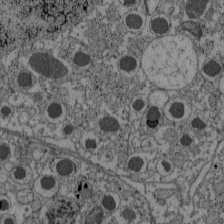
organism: C57BL Mouse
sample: Pancreatic islet